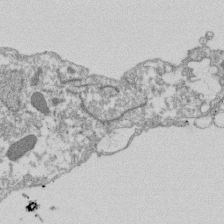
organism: Dictyostelium discoideum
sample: Dictyostelium multivesicular bodies